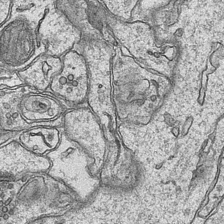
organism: Mouse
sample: CA1 Hippocampus